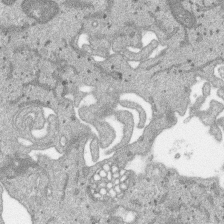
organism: Human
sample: Lung epithelial cells infected with SARS-CoV-2